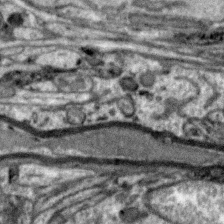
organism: Zebra finch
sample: Brain